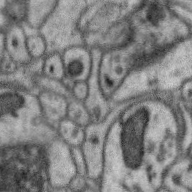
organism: Zebra finch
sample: Brain